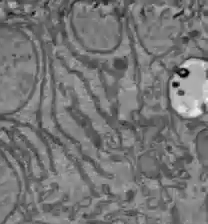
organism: C57BL Mouse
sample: Liver